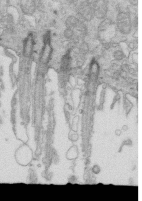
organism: Mouse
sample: Multiciliated cells